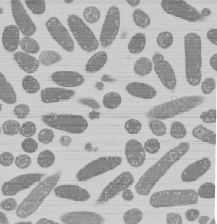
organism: E. coli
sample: Bacterial nucleoid